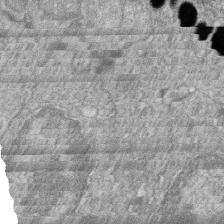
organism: Zebrafish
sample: Cilia; retinal pigment epithelium